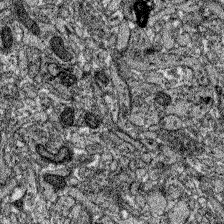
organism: Zebrafish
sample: Larval olfactory bulb